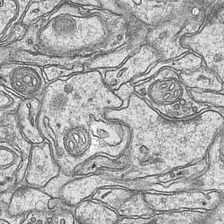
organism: Mouse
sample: CA1 Hippocampus